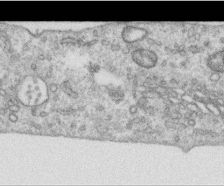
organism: Human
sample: Centriole in RPE cells